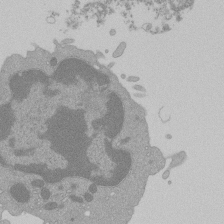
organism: Mouse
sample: Activated Pmel transgenic CD8+ T Cells